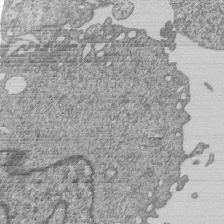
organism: Human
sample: MDA-MB-231 cells